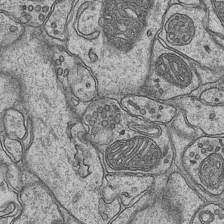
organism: Mouse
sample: CA1 Hippocampus